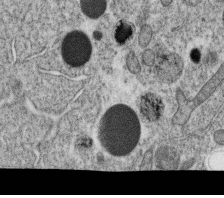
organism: C. elegans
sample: C. elegans oocyte; sperm cells